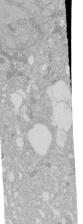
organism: Human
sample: Caco-2 cells